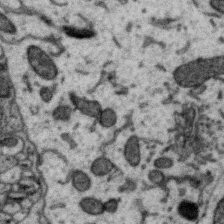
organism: Zebra finch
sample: Brain